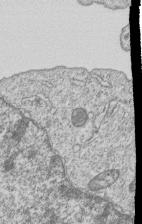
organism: Human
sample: MDA-MB-231 cells